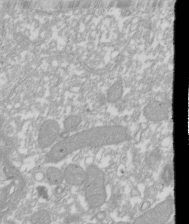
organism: Xenopus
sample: Cilia; centrioles in frog embryo cells